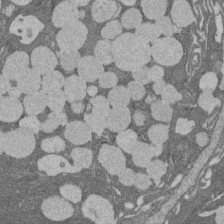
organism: Rat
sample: Salivary granule